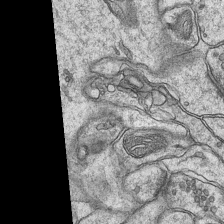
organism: Mouse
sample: CA1 Hippocampus